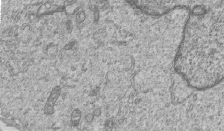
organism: Human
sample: MDA-MB-231 cells